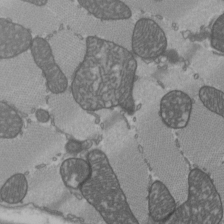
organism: C57BL Mouse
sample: Heart